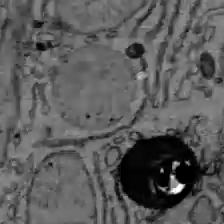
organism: C57BL Mouse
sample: Liver